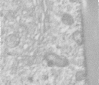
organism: Human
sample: Centriole in RPE cells